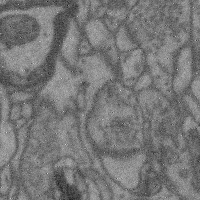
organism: Mouse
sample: Cerebral cortex